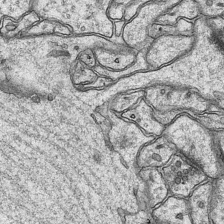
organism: Mouse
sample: CA1 Hippocampus